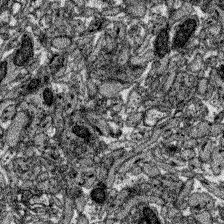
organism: Zebrafish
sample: Larval olfactory bulb